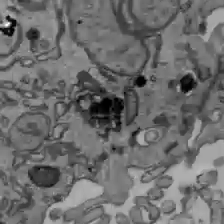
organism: C57BL Mouse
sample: Liver